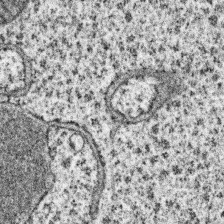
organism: Human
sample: HeLa cells